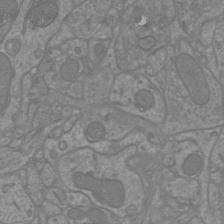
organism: Mouse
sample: Cortical neurons